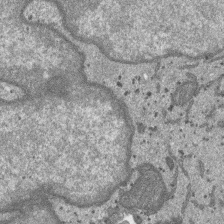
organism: Human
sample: Lung epithelial cells infected with SARS-CoV-2